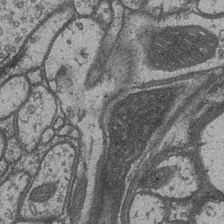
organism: Drosophila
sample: Optic medulla